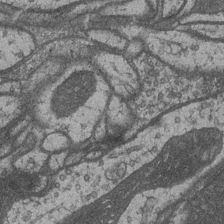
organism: Drosophila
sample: Optic medulla